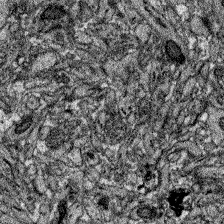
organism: Zebrafish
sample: Larval olfactory bulb